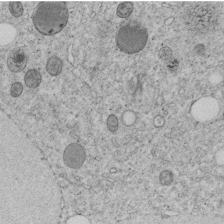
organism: C. elegans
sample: C. elegans embryo early stage